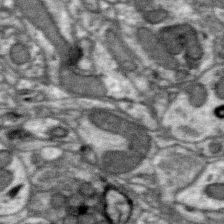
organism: Zebra finch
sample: Brain